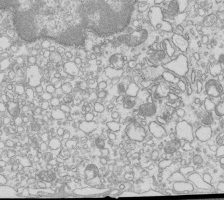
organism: Mouse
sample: Macrophages